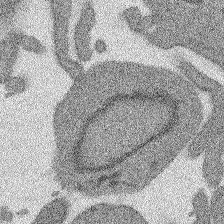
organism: Human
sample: HeLa cells